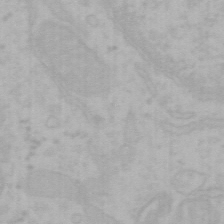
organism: Mouse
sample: Choroid plexus